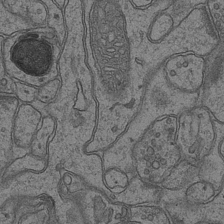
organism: Mouse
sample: CA1 Hippocampus